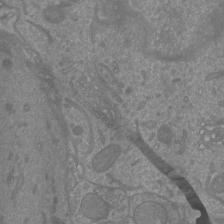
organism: Mouse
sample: Cortical neurons